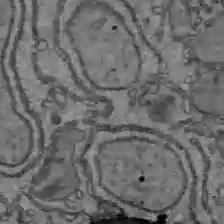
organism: C57BL Mouse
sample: Liver